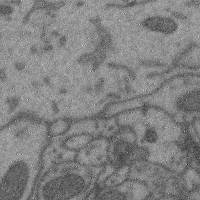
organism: Mouse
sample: Cerebral cortex